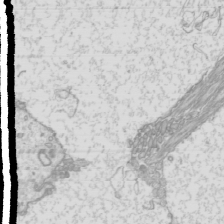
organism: Mouse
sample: Cilia; mouse epididymis